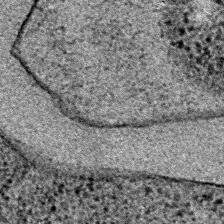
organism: E. coli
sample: E. Coli Bacteria